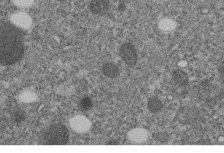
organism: C. elegans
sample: C. elegans embryo early stage